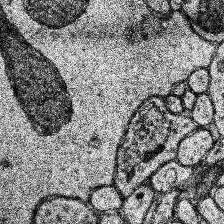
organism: Human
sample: Temporal Lobe